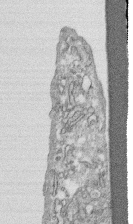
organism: Human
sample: CRL-1474